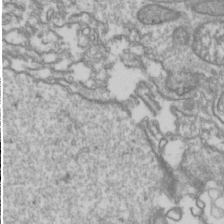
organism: Drosophila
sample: Cell division; meiosis; drosophila spermatocytes